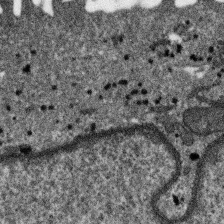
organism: Human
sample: Lung epithelial cells infected with SARS-CoV-2